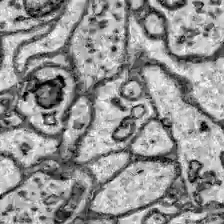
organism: Zebrafish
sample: Brain